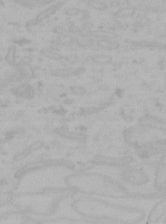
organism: Mouse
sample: Choroid plexus